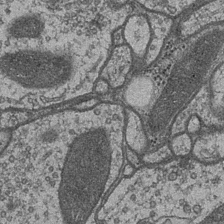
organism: Drosophila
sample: Optic medulla